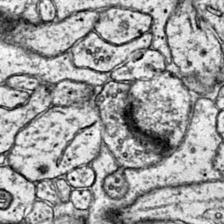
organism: Mouse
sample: Primary visual cortex